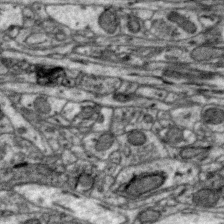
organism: Zebra finch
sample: Brain